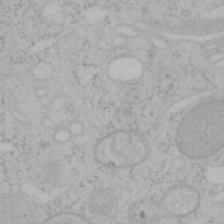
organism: Mouse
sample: OT-I killer T cells with ID8 ovarian cancer cells